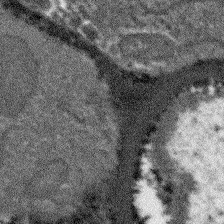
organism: Arabidopsis thaliana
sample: Root tip